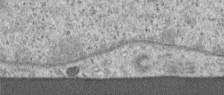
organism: Human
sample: Centriole in RPE cells